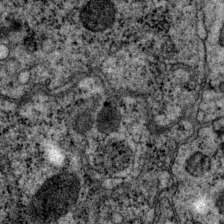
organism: P. pacificus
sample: Pharynx